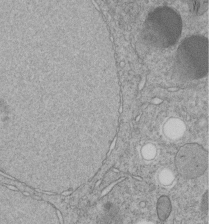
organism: C. elegans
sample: C. elegans embryo early stage